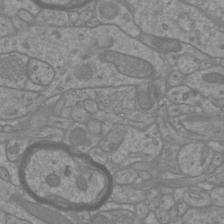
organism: Mouse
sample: Cortical neurons